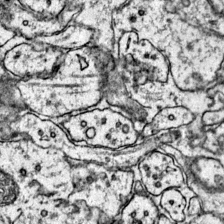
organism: Mouse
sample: Primary visual cortex